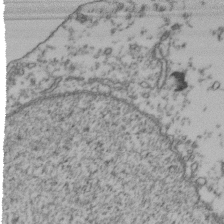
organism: Human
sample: Activated Jurkat CD4+ T cells